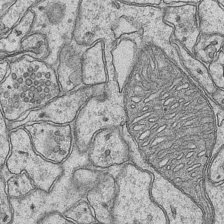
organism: Mouse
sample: CA1 Hippocampus